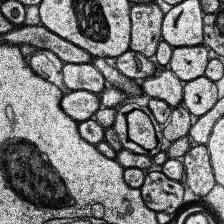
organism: Human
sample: Temporal Lobe